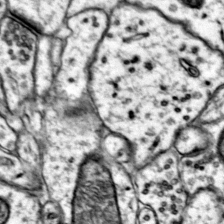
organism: Mouse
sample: Primary visual cortex